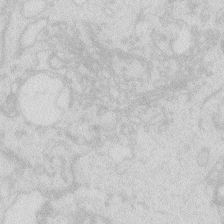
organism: Zebrafish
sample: Macrophage